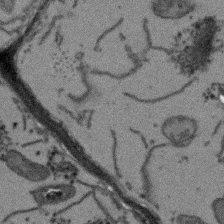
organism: Arabidopsis thaliana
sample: Root tip